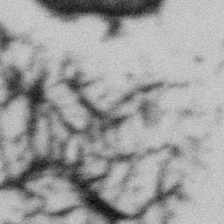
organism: Gemmata obscuriglobus